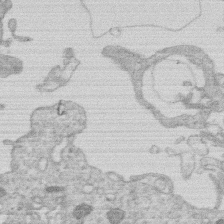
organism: Human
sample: Macrophage cells